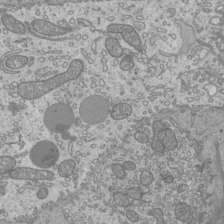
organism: Mouse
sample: Cilia; mouse epididymis